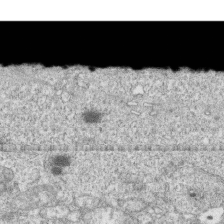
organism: Human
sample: HeLa cell HIV synapse